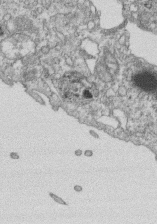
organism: Human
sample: HeLa cell HIV synapse